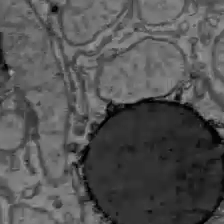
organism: C57BL Mouse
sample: Liver